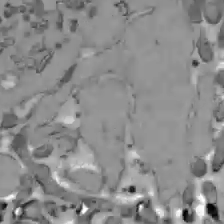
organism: C57BL Mouse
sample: Liver